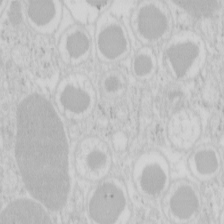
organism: Mouse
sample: Pancreas